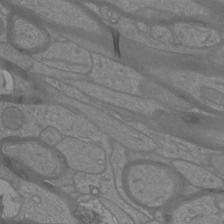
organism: Mouse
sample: Cortical neurons